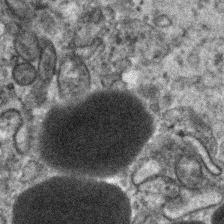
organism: Human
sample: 1205lu cells